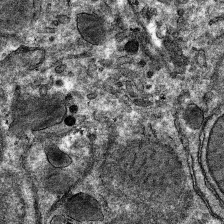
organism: Mouse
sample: Mouse hepatocytes